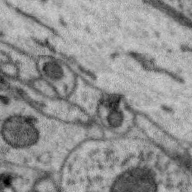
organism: Zebra finch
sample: Brain